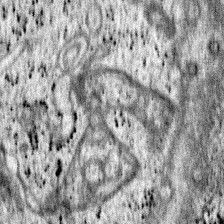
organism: Human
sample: HeLa cells